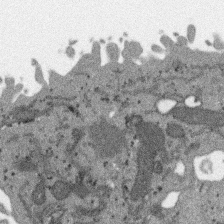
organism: Human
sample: Lung epithelial cells infected with SARS-CoV-2